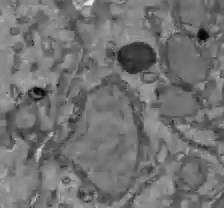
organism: C57BL Mouse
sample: Liver